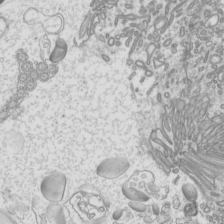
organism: Mouse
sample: Cilia; mouse epididymis